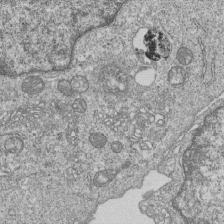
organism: Human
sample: MDA-MB-231 cells